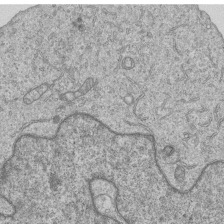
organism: Human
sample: MDA-MB-231 cells